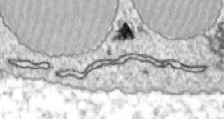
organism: Zebrafish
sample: Actinotrichia fibers